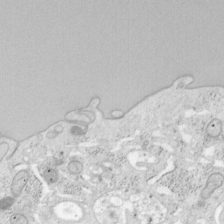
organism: Mouse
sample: OT-I killer T cells with ID8 ovarian cancer cells